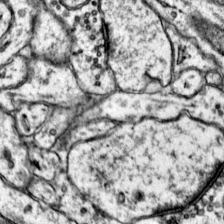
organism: Mouse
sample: Primary visual cortex